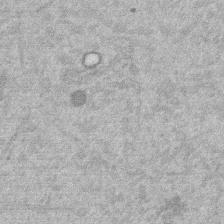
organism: Mouse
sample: Dividing mouse embryo 1 cell stage